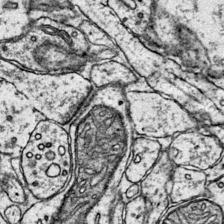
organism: Mouse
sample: Primary visual cortex